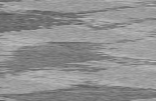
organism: C57BL Mouse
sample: Heart